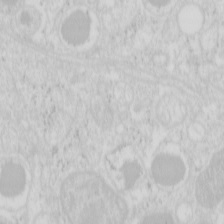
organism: Mouse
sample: Pancreas